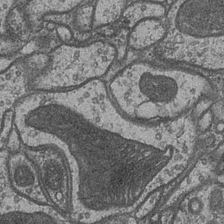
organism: Drosophila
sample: Optic medulla